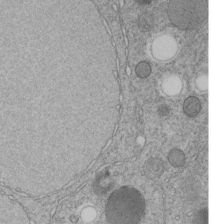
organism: C. elegans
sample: C. elegans embryo early stage